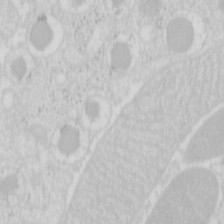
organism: Mouse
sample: Pancreas